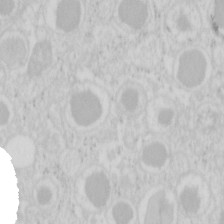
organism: Mouse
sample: Pancreas